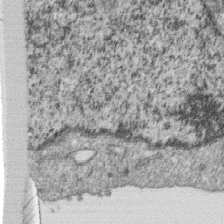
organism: African green monkey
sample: Vero E6 cells infected with SARS-CoV-2